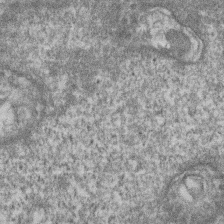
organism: Mouse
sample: T cell stromal cell synapse